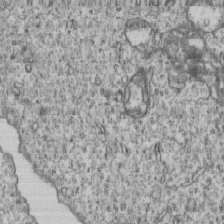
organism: Human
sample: MDA-MB-231 cells